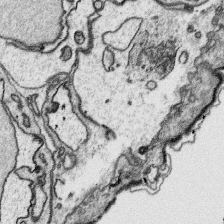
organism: Platynereis dumerilii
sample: Parapodia